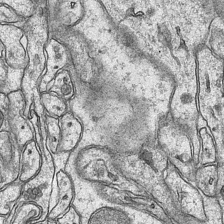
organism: Mouse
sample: CA1 Hippocampus